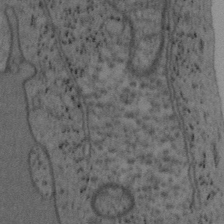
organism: Human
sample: HeLa cells